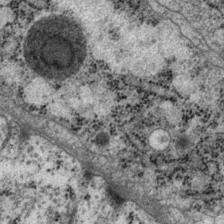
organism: P. pacificus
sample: Pharynx